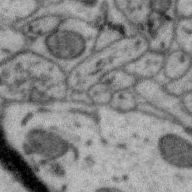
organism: Zebra finch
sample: Brain